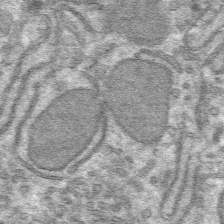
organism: Mouse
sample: Mouse hepatocytes